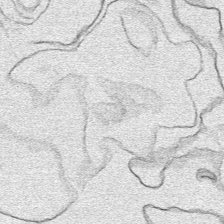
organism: Human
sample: Mitochondria in HCT116 cells